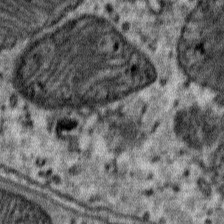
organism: Mouse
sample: Mouse Salivary gland